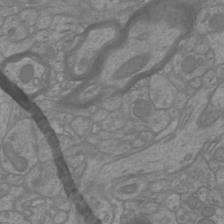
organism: Mouse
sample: Cortical neurons